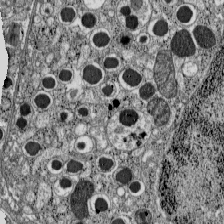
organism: C57BL Mouse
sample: Pancreatic islet